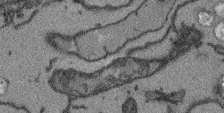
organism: Arabidopsis thaliana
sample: Root tip